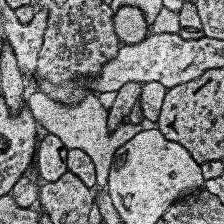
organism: Human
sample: Temporal Lobe